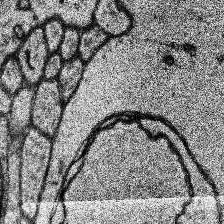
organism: Human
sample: Temporal Lobe